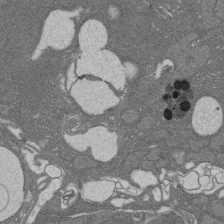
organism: Rat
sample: Salivary granule